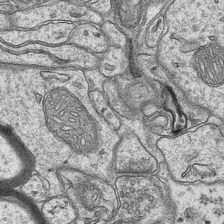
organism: Mouse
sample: CA1 Hippocampus